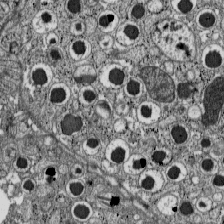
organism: C57BL Mouse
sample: Pancreatic islet